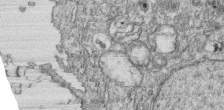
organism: Human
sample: HeLa cell HIV synapse